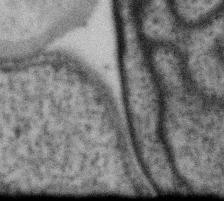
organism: Gemmata obscuriglobus